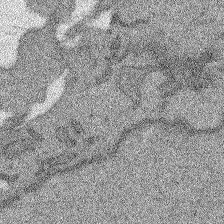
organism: Human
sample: HeLa cells